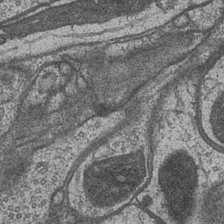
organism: Drosophila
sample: Optic medulla